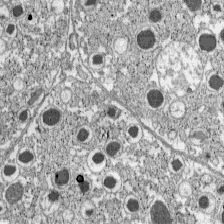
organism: C57BL Mouse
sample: Pancreatic islet